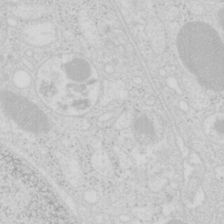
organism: Mouse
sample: Pancreas